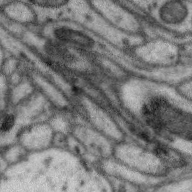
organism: Zebra finch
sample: Brain